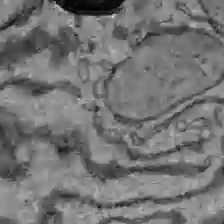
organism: C57BL Mouse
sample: Liver